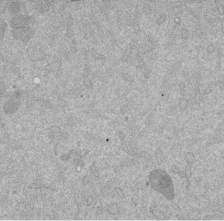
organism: Mouse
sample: Dividing mouse embryo 1 cell stage